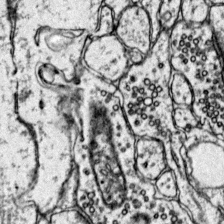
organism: Mouse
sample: Primary visual cortex